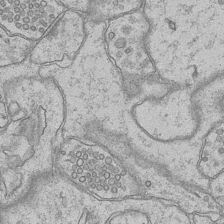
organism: Mouse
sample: CA1 Hippocampus